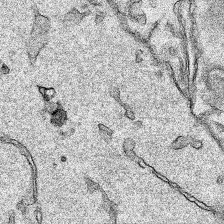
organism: Human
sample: Mitochondria in HCT116 cells